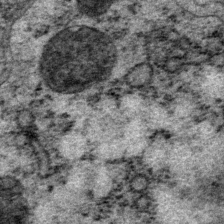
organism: P. pacificus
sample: Pharynx